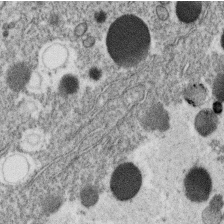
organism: C. elegans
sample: C. elegans oocyte; sperm cells